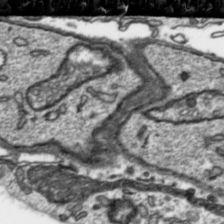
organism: Toxoplasma gondii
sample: Parasites in a vacuole inside a host cell